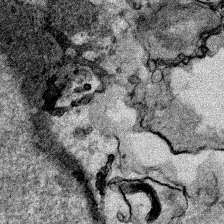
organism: Human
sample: Mitochondria in HCT116 cells